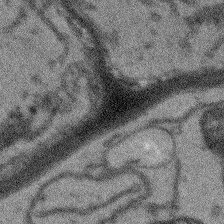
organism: Arabidopsis thaliana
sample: Root tip